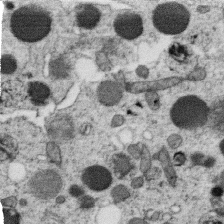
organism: C. elegans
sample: C. elegans oocyte; sperm cells